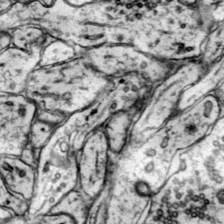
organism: Mouse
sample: Primary visual cortex